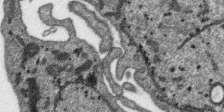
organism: Human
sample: Lung epithelial cells infected with SARS-CoV-2